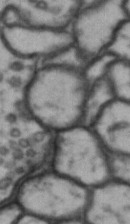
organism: Drosophila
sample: Brain